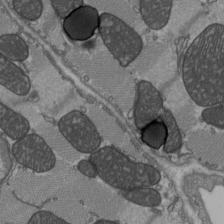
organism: C57BL Mouse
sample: Heart